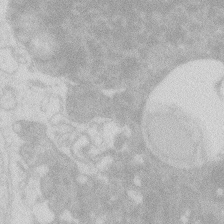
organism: Zebrafish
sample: Macrophage